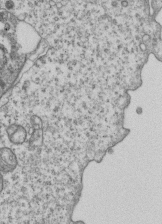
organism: Human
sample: MDA-MB-231 cells